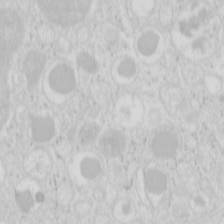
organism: Mouse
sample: Pancreas